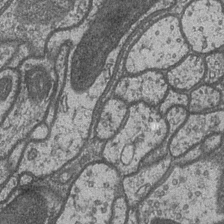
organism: Drosophila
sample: Optic medulla